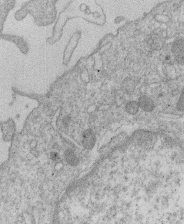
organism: Human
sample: Macrophage cells